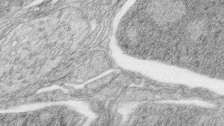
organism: Zebrafish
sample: synaptic ribbons in rod cells and cone cells